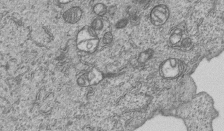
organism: Human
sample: MDA-MB-231 cells